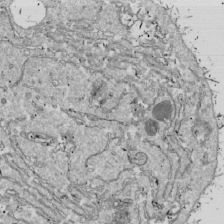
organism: Drosophila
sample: Cell division; meiosis; drosophila spermatocytes